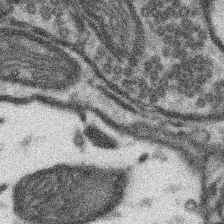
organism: Mouse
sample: Somatosensory cortex neuropil